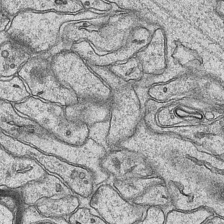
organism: Mouse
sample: CA1 Hippocampus